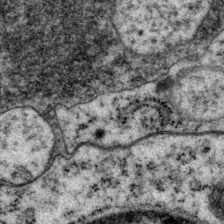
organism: P. pacificus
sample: Pharynx